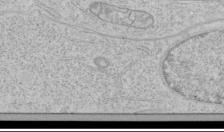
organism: Human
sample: Mitochondria in HCT116 cells